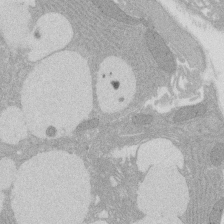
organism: Rat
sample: Salivary granule